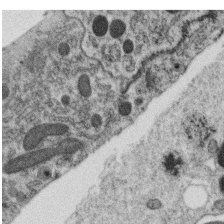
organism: C. elegans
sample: C. elegans oocyte; sperm cells